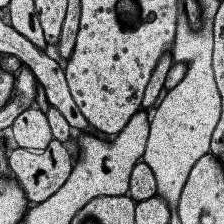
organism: Human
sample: Temporal Lobe